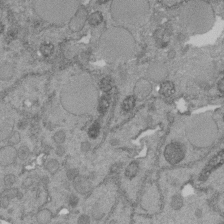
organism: C. elegans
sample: C. elegans embryo early stage